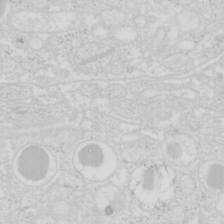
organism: Mouse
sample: Pancreas